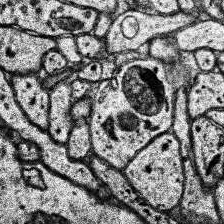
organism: Human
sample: Temporal Lobe